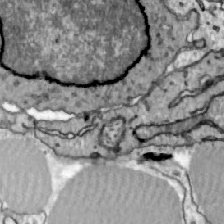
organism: Zebrafish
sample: Actinotrichia fibers